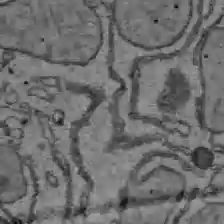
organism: C57BL Mouse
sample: Liver